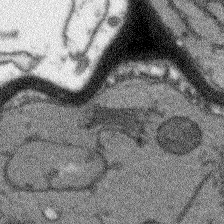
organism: Arabidopsis thaliana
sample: Root tip